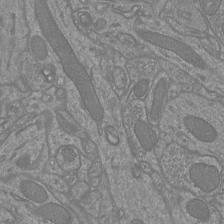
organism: Mouse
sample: Cortical neurons